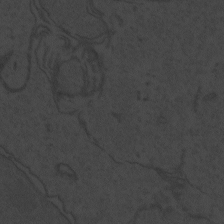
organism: Zebrafish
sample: Macrophage infected with Toxoplasma gondii